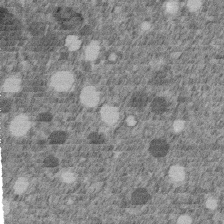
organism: C. elegans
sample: C. elegans embryo early stage